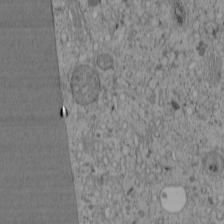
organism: African green monkey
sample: COS-7 cells